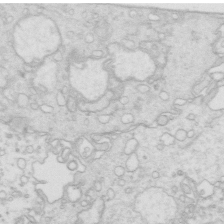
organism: Mouse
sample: Multiciliated cells